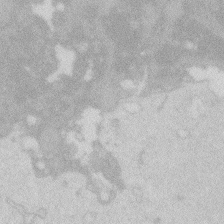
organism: Zebrafish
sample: Macrophage